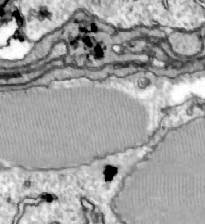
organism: Zebrafish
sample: Actinotrichia fibers